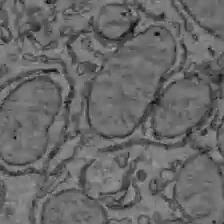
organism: C57BL Mouse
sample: Liver